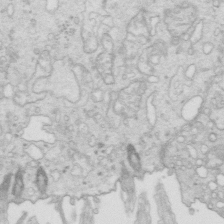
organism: Mouse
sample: Multiciliated cells